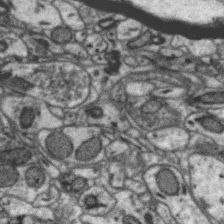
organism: Zebra finch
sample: Brain